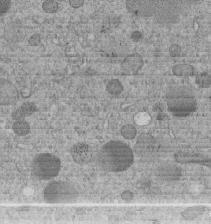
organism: C. elegans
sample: C. elegans embryo early stage